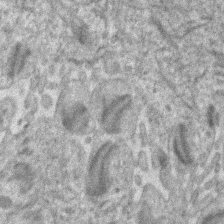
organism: Human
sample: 1205lu cells